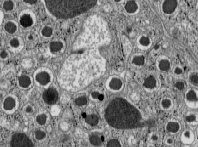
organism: C57BL Mouse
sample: Pancreatic islet